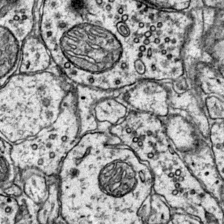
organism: Mouse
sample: Primary visual cortex